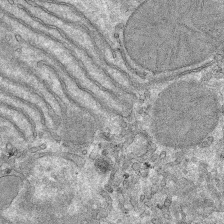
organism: Mouse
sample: Mouse hepatocytes